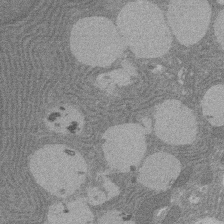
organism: Rat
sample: Salivary granule